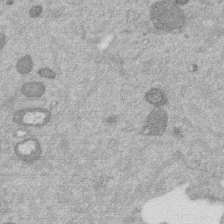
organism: Mouse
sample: Dividing mouse embryo 1 cell stage